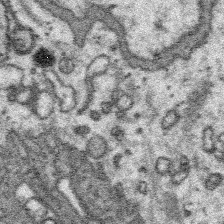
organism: Platynereis dumerilii